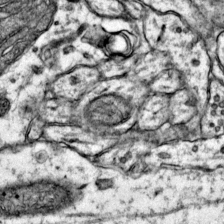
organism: Mouse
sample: Primary visual cortex